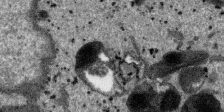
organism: Human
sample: Lung epithelial cells, uninfected (mock) control